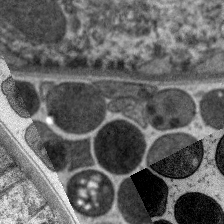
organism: C. elegans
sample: Pharynx